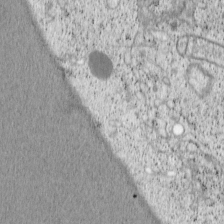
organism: African green monkey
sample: COS-7 cells